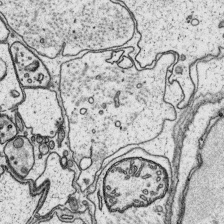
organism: Platynereis dumerilii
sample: Parapodia